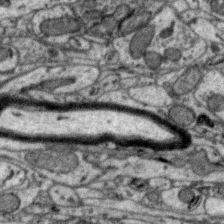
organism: Zebra finch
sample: Brain